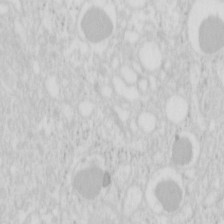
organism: Mouse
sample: Pancreas